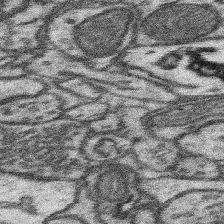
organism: Mouse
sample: Somatosensory cortex neuropil